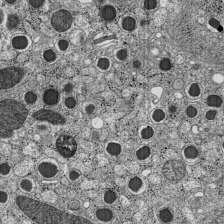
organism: C57BL Mouse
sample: Pancreatic islet